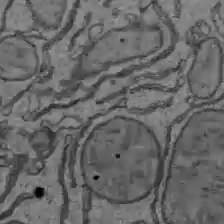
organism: C57BL Mouse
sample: Liver